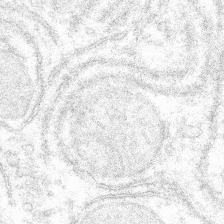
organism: Mouse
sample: Mouse hepatocytes